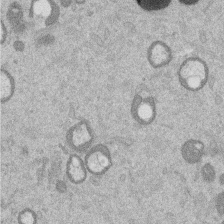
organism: Mouse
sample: Dividing mouse embryo 1 cell stage